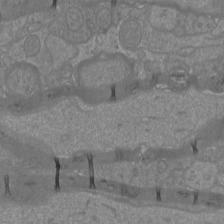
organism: Mouse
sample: Cortical neurons